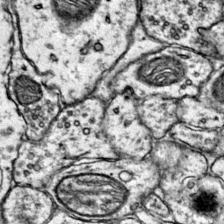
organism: Mouse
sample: Primary visual cortex